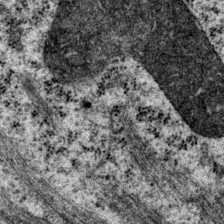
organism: P. pacificus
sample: Pharynx